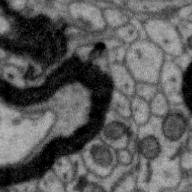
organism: Zebra finch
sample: Brain